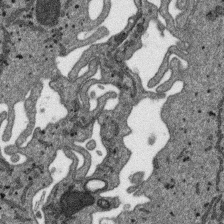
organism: Human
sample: Lung epithelial cells infected with SARS-CoV-2